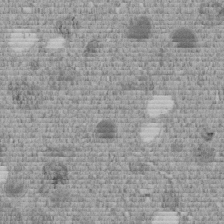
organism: C. elegans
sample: C. elegans embryo early stage